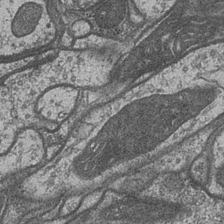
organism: Drosophila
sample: Optic medulla